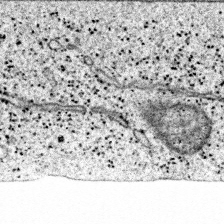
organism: Human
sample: HeLa cells